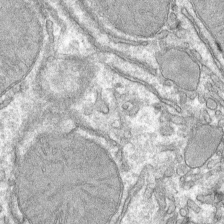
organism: Mouse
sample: Mouse hepatocytes